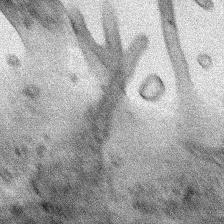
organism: Human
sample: Mitochondria in HCT116 cells